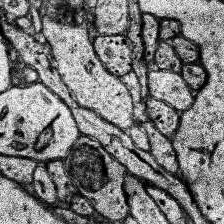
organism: Human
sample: Temporal Lobe